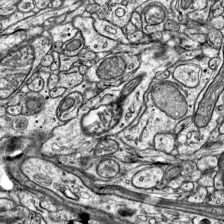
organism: Mouse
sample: Visual Cortex